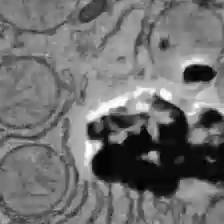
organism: C57BL Mouse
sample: Liver